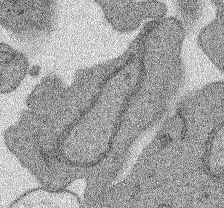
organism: Human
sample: HeLa cells